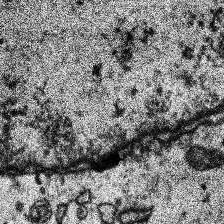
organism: Human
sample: Temporal Lobe